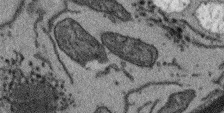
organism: Arabidopsis thaliana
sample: Root tip